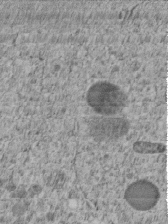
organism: C. elegans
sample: C. elegans embryo early stage